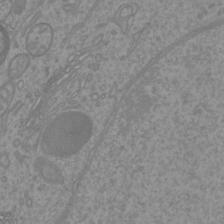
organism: Mouse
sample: Cortical neurons